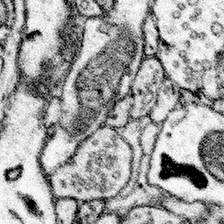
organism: Mouse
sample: Somatosensory cortex neuropil